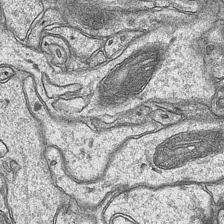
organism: Mouse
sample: CA1 Hippocampus